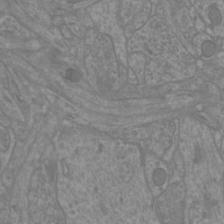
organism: Mouse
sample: Cortical neurons